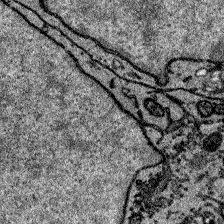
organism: Zebrafish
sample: Larval olfactory bulb